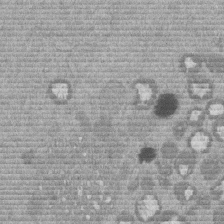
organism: Mouse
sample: Dividing mouse embryo 1 cell stage